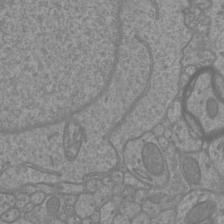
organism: Mouse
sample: Cortical neurons